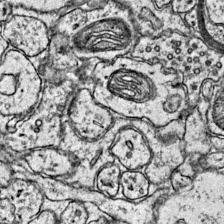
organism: Mouse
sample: Primary visual cortex